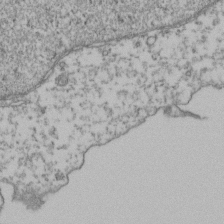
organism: Human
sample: Activated Jurkat CD4+ T cells